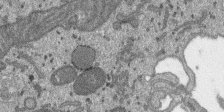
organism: Human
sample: Lung epithelial cells infected with SARS-CoV-2